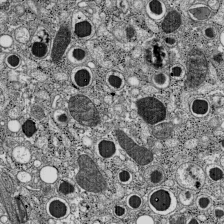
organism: C57BL Mouse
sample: Pancreatic islet